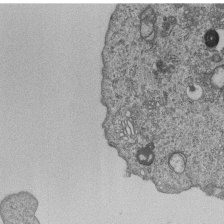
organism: Human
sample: MDA-MB-231 cells